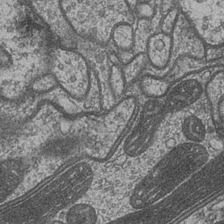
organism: Drosophila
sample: Optic medulla